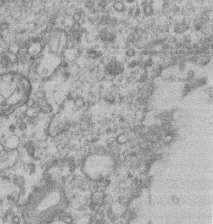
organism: Mouse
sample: T cell stromal cell synapse